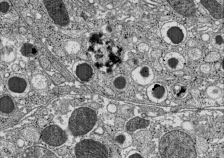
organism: C57BL Mouse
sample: Pancreatic islet